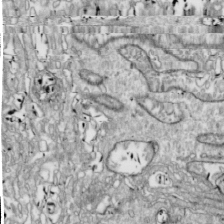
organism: Drosophila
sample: Cell division; meiosis; drosophila spermatocytes